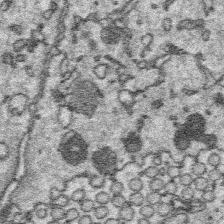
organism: Platynereis dumerilii